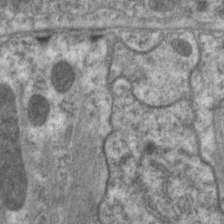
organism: C. elegans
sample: Pharynx